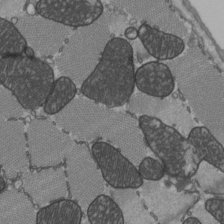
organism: C57BL Mouse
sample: Heart